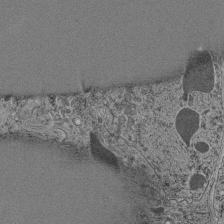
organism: C. elegans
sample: C. elegans pharynx